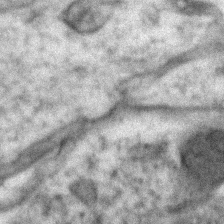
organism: Zebrafish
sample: Zebrafish embryo